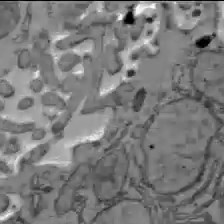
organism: C57BL Mouse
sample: Liver